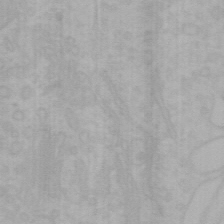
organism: Mouse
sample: Choroid plexus